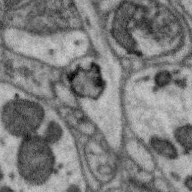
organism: Zebra finch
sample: Brain